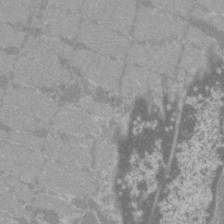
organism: C57BL Mouse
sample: Tibialis anterior muscle cell